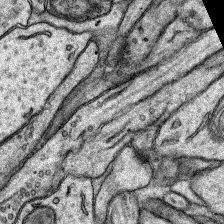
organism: Rat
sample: Hippocampus